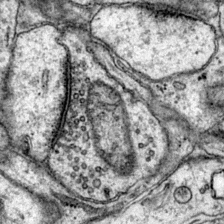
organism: Mouse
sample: Primary visual cortex